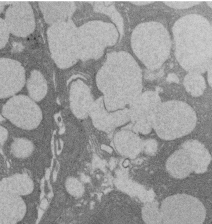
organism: Rat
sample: Salivary granule